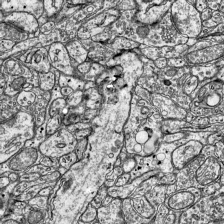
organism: Mouse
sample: Visual Cortex